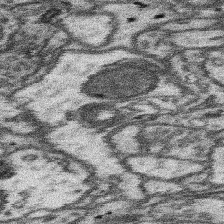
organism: Mouse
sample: Somatosensory cortex neuropil